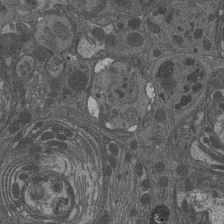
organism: Drosophila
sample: Antenna